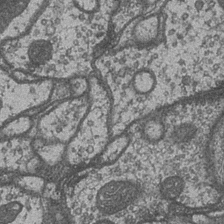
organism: Drosophila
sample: Optic medulla